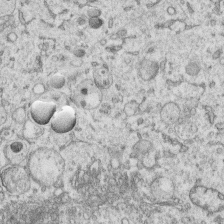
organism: Human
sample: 1205lu cells